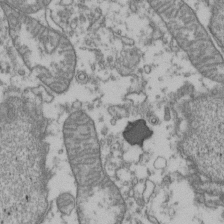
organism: Human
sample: Activated Jurkat CD4+ T cells